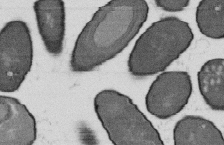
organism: B. subtilis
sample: Bacterial spore